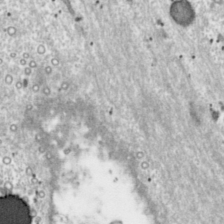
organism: Toxoplasma gondii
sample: Parasites in a vacuole inside a host cell